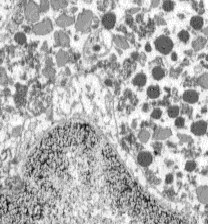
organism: C57BL Mouse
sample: Pancreatic islet